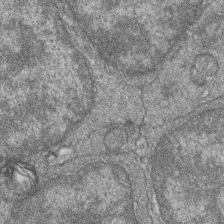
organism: Zebrafish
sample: Cilia; retinal pigment epithelium